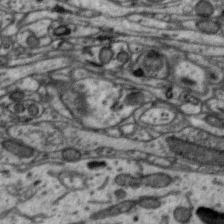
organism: Zebra finch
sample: Brain